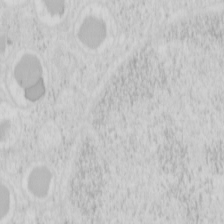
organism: Mouse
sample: Pancreas